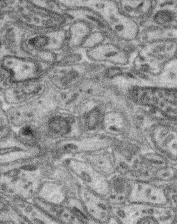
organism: Mouse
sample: Retina